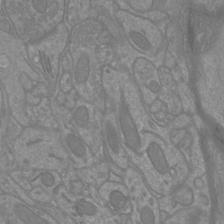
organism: Mouse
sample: Cortical neurons